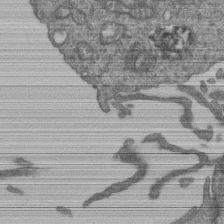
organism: Human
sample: Retinal organoid Rod and Cone cells